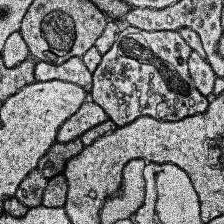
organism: Human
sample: Temporal Lobe